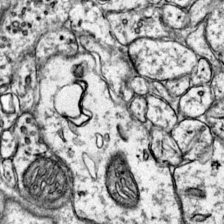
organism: Mouse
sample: Primary visual cortex